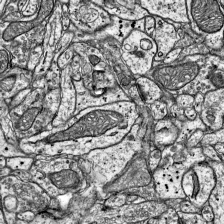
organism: Mouse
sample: Visual Cortex